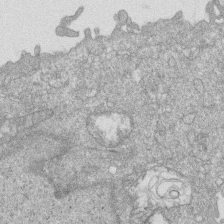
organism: Human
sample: HeLa cell HIV synapse